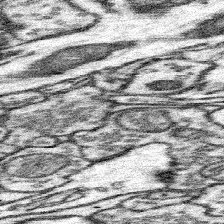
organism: Mouse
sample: Somatosensory cortex neuropil